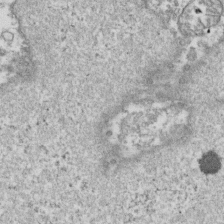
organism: Human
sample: Activated Jurkat CD4+ T cells